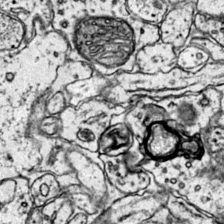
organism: Mouse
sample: Primary visual cortex